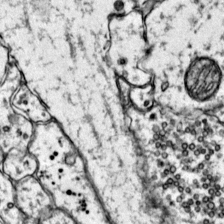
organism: Mouse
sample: Primary visual cortex